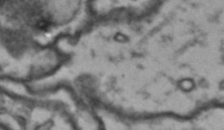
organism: Drosophila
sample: Brain